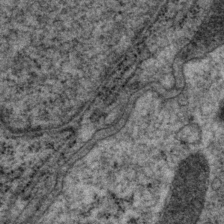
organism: P. pacificus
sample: Pharynx